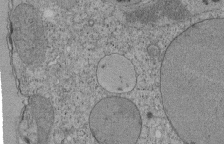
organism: Tetrahymena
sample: Cilia in tetrahymena